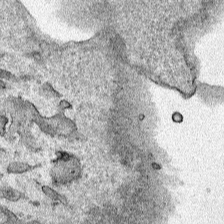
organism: Human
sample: Mitochondria in HCT116 cells